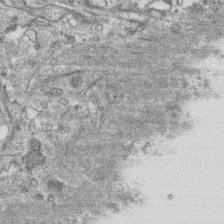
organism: Human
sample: CRL-1474